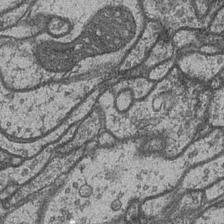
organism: Drosophila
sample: Optic medulla